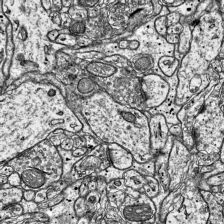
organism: Mouse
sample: Visual Cortex